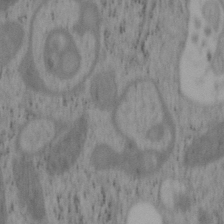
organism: Mouse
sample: OT-I killer T cells with ID8 ovarian cancer cells